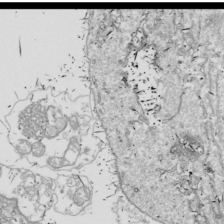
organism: Drosophila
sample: Cell division; meiosis; drosophila spermatocytes